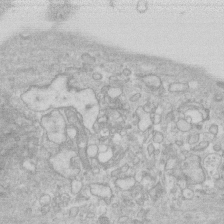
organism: Human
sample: Fibroblast cells